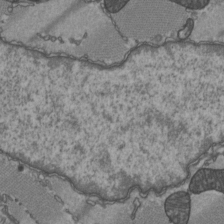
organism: C57BL Mouse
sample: Heart